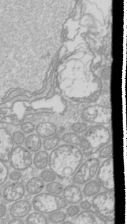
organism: Drosophila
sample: Cell division; meiosis; drosophila spermatocytes